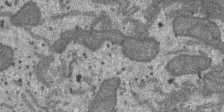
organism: Human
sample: Lung epithelial cells infected with SARS-CoV-2